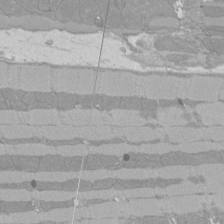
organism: Rat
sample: Left ventricle